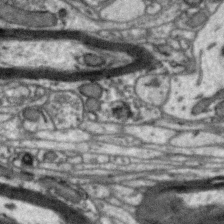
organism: Zebra finch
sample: Brain